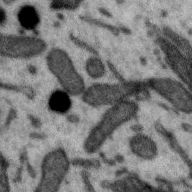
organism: Zebra finch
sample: Brain